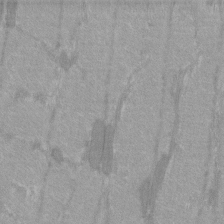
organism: C57BL Mouse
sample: Tibialis anterior muscle cell